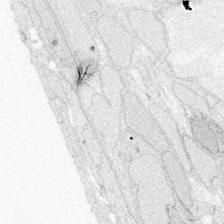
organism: Zebrafish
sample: Whole-Brain